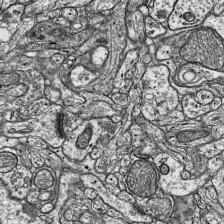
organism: Mouse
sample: Visual Cortex